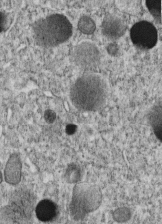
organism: C. elegans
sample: C. elegans embryo early stage